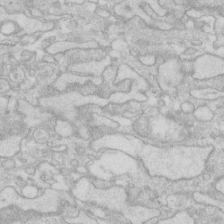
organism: Human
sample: Fibroblast cells